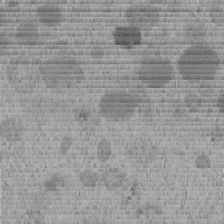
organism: C. elegans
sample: C. elegans embryo early stage